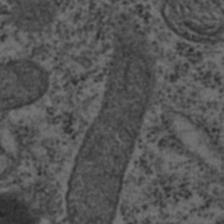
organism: C. elegans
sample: C. elegans embryo